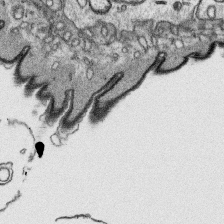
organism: Platynereis dumerilii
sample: Parapodia